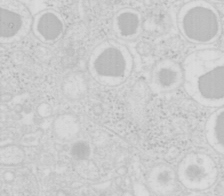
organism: Mouse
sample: Pancreas